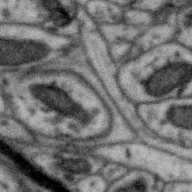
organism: Zebra finch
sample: Brain